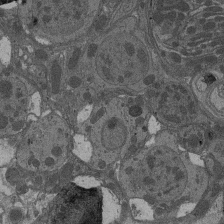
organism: Drosophila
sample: Antenna